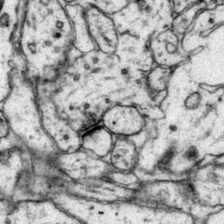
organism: Mouse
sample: Primary visual cortex